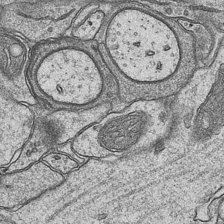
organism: Mouse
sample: CA1 Hippocampus